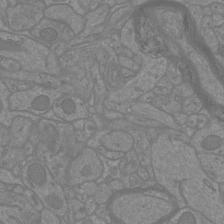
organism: Mouse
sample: Cortical neurons